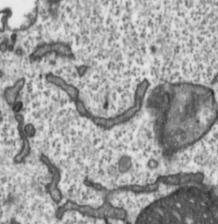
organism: Toxoplasma gondii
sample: Parasites in a vacuole inside a host cell